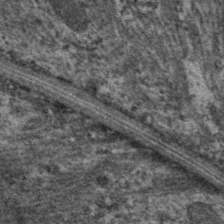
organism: C. elegans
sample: Pharynx